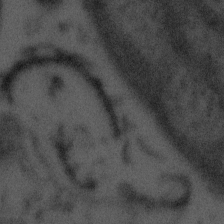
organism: Tuwongella immobilis